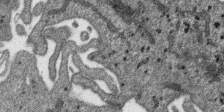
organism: Human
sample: Lung epithelial cells infected with SARS-CoV-2